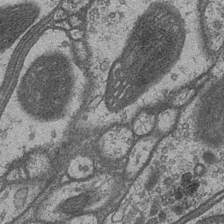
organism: Drosophila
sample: Optic medulla